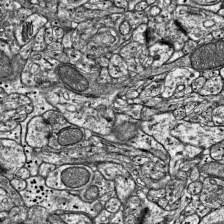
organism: Mouse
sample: Visual Cortex